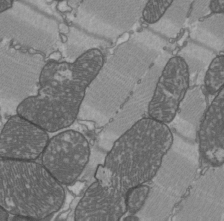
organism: C57BL Mouse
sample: Heart